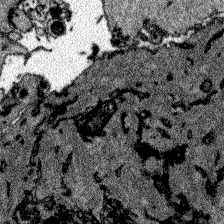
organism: Zebrafish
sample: Larval olfactory bulb